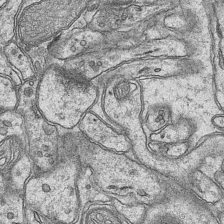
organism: Mouse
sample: CA1 Hippocampus